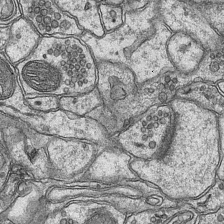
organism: Mouse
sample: CA1 Hippocampus